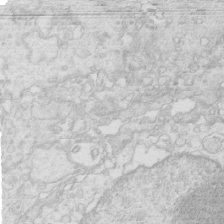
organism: Mouse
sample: Multiciliated cells